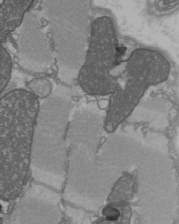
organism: C57BL Mouse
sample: Heart